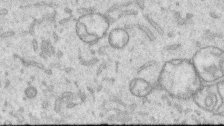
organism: Human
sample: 1205lu cells